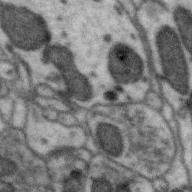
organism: Zebra finch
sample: Brain